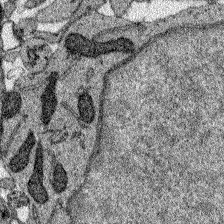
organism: Zebrafish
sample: Larval olfactory bulb